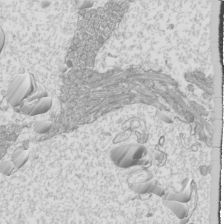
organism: Mouse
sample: Cilia; mouse epididymis